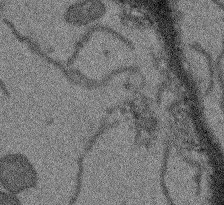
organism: Arabidopsis thaliana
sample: Root tip